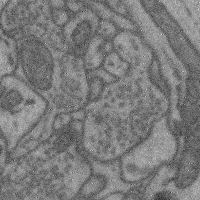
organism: Mouse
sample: Cerebral cortex